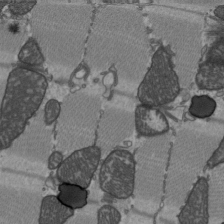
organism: C57BL Mouse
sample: Heart